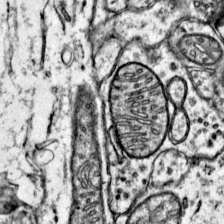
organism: Mouse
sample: Primary visual cortex